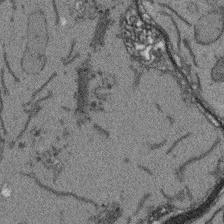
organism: Arabidopsis thaliana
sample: Root tip